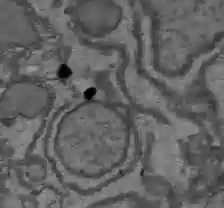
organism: C57BL Mouse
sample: Liver